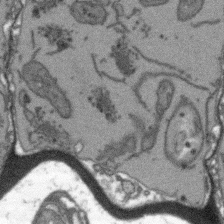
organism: Arabidopsis thaliana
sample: Root tip